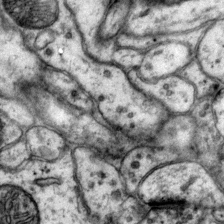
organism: Mouse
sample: Primary visual cortex